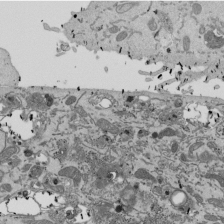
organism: Mouse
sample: ED-1 cell nuclei; centrioles